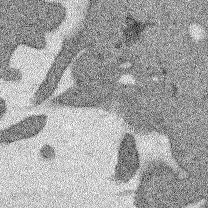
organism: Human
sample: HeLa cells